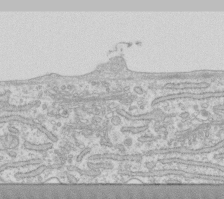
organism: Human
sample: Fibroblast cells